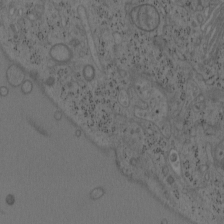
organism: Mouse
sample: OT-I killer T cells with ID8 ovarian cancer cells